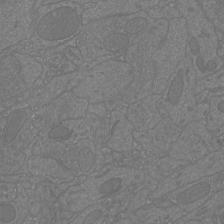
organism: Mouse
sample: Cortical neurons